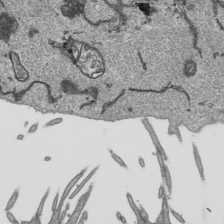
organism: Human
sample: Mitochondria in HCT116 cells